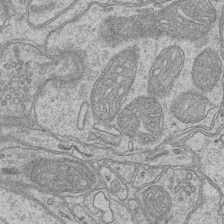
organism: Mouse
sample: CA1 Hippocampus